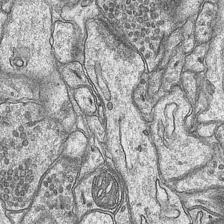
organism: Mouse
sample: CA1 Hippocampus